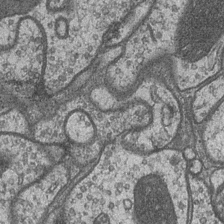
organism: Drosophila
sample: Optic medulla